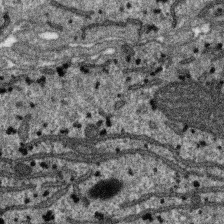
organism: Human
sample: Lung epithelial cells infected with SARS-CoV-2